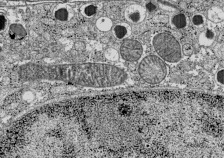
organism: C57BL Mouse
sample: Pancreatic islet